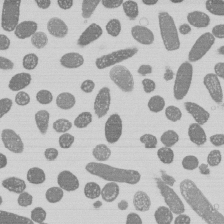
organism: E. coli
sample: Bacterial nucleoid